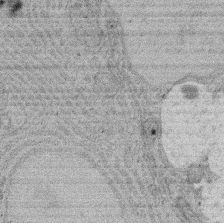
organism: Rat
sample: Salivary granule